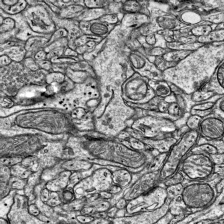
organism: Mouse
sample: Visual Cortex